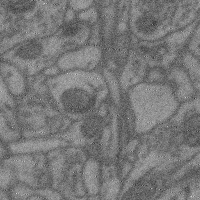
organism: Mouse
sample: Cerebral cortex